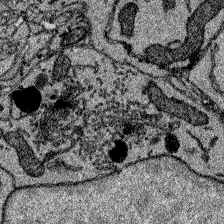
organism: Zebrafish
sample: Larval olfactory bulb